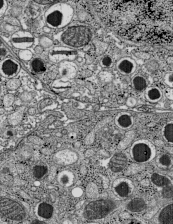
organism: C57BL Mouse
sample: Pancreatic islet